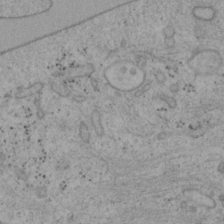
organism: Human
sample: HeLa cells